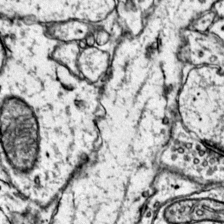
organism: Mouse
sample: Primary visual cortex